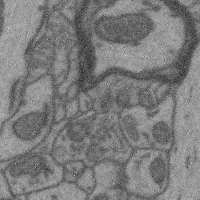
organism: Mouse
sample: Cerebral cortex